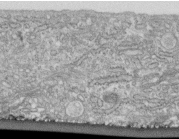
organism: Human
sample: Centriole in fibroblast cells